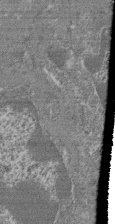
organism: Mouse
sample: Glomerulus